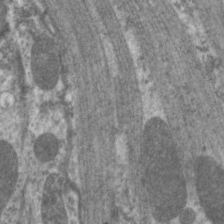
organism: C. elegans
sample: Pharynx